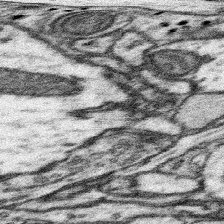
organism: Mouse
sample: Somatosensory cortex neuropil